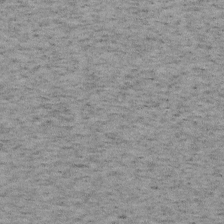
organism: Mouse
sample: OT-I killer T cells with ID8 ovarian cancer cells